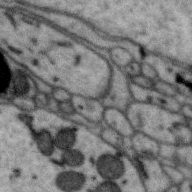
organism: Zebra finch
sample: Brain